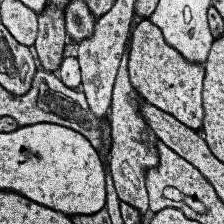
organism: Human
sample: Temporal Lobe